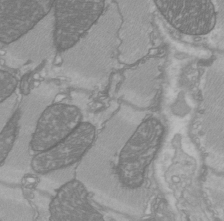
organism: C57BL Mouse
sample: Heart